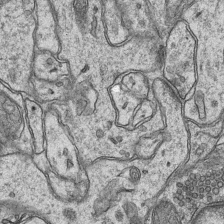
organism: Mouse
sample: CA1 Hippocampus